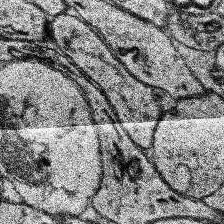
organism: Human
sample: Temporal Lobe